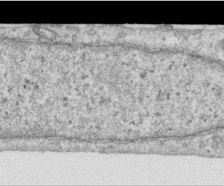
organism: Human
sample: Centriole in RPE cells